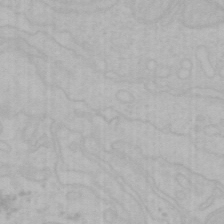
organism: Mouse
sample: Choroid plexus